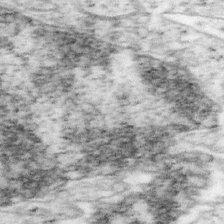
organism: Mouse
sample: OT-I killer T cells with ID8 ovarian cancer cells